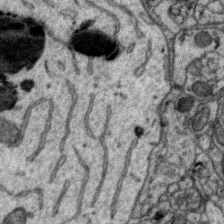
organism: Zebra finch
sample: Brain